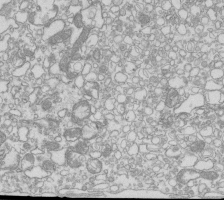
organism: Mouse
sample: Macrophages